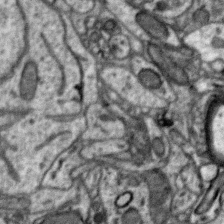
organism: Zebra finch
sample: Brain